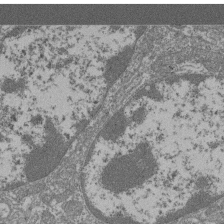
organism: Mouse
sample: Glomerulus